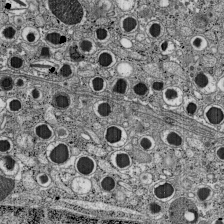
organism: C57BL Mouse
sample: Pancreatic islet